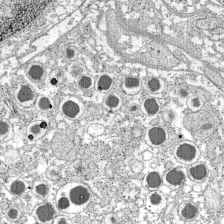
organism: C57BL Mouse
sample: Pancreatic islet